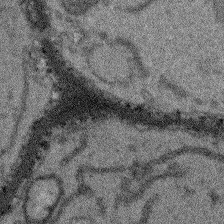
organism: Arabidopsis thaliana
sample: Root tip